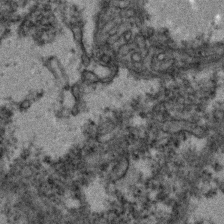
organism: Zebrafish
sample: Zebrafish embryo